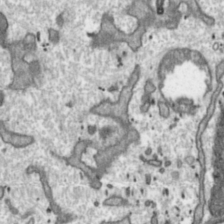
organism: Toxoplasma gondii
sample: Parasites in a vacuole inside a host cell